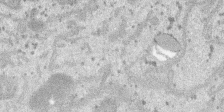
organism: Human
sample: Lung epithelial cells infected with SARS-CoV-2